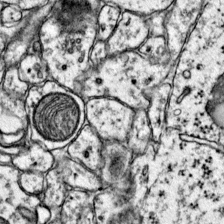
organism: Mouse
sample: Primary visual cortex